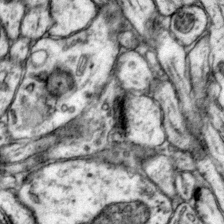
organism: Mouse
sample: Primary visual cortex